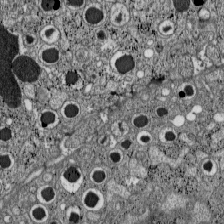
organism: C57BL Mouse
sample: Pancreatic islet